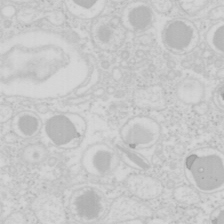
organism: Mouse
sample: Pancreas